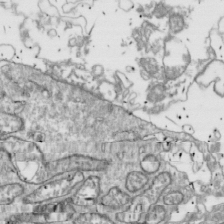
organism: Drosophila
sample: Cell division; meiosis; drosophila spermatocytes